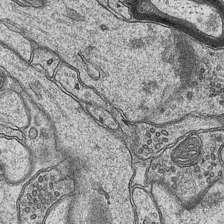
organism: Mouse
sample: CA1 Hippocampus